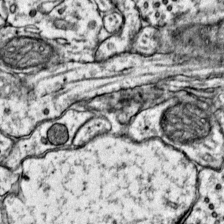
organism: Mouse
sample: Primary visual cortex